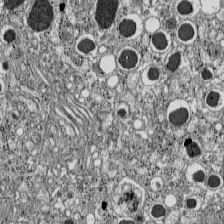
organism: C57BL Mouse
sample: Pancreatic islet